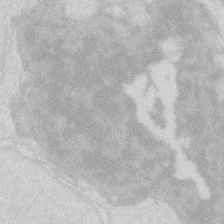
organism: Zebrafish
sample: Macrophage